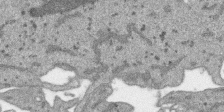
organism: Human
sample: Lung epithelial cells infected with SARS-CoV-2